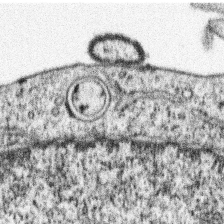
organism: Human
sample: HeLa cells